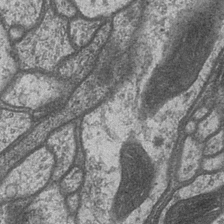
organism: Drosophila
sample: Optic medulla